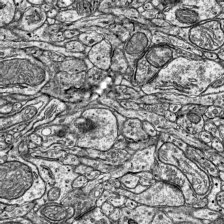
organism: Mouse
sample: Visual Cortex